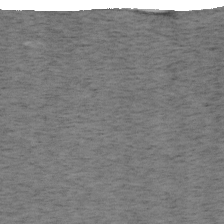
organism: Mouse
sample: OT-I killer T cells with ID8 ovarian cancer cells